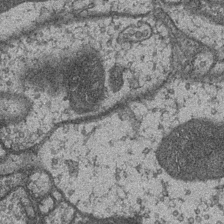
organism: Drosophila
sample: Optic medulla